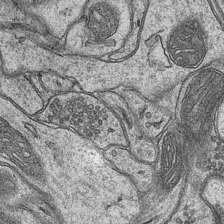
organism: Mouse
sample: CA1 Hippocampus